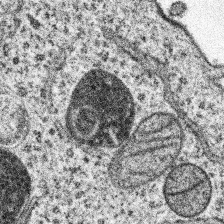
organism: Human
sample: HeLa cells